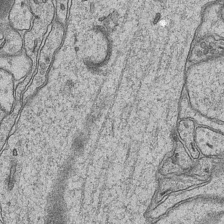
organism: Mouse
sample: CA1 Hippocampus